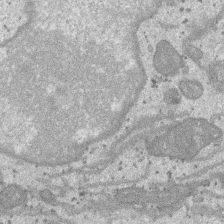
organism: Human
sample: Lung epithelial cells infected with SARS-CoV-2